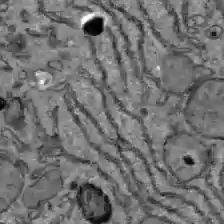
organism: C57BL Mouse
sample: Liver